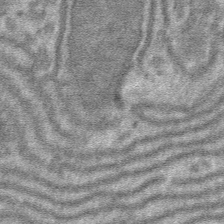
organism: Mouse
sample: Mouse hepatocytes